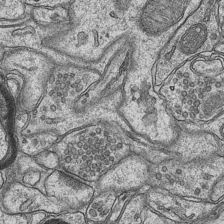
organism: Mouse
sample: CA1 Hippocampus